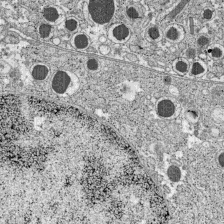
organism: C57BL Mouse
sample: Pancreatic islet